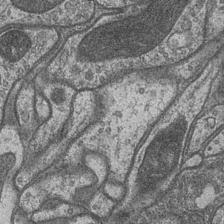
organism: Drosophila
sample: Optic medulla